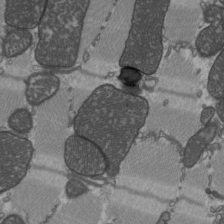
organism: C57BL Mouse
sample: Heart